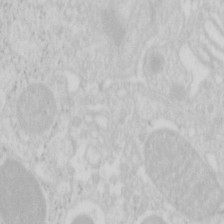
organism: Mouse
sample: Pancreas